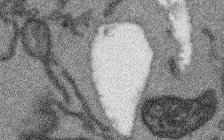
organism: Arabidopsis thaliana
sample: Root tip